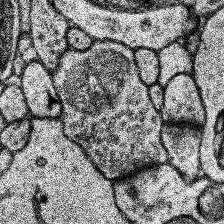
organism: Human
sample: Temporal Lobe